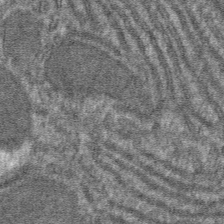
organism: Mouse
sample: Mouse hepatocytes